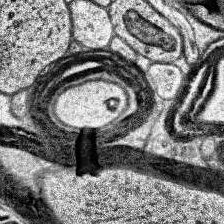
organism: Human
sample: Temporal Lobe